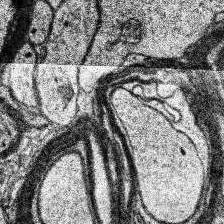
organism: Human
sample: Temporal Lobe